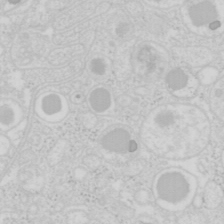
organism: Mouse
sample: Pancreas